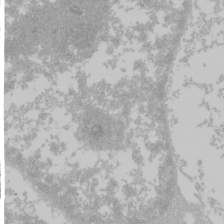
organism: Mouse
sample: Cancer cell death in ED-1 cells